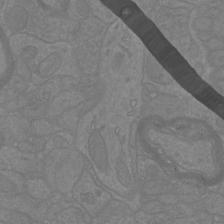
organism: Mouse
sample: Cortical neurons